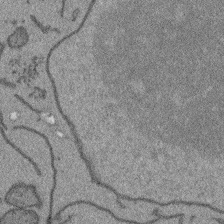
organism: Arabidopsis thaliana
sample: Root tip